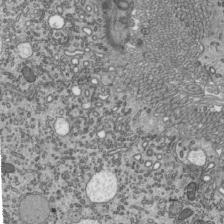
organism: Mouse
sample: Mouse epididymis efferent ductule cilia